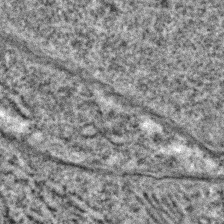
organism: C. elegans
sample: C. elegans embryo